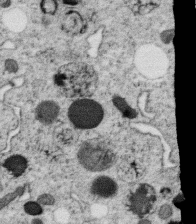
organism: C. elegans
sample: C. elegans oocyte; sperm cells